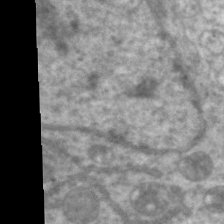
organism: C. elegans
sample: Pharynx